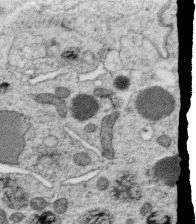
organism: C. elegans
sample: C. elegans oocyte; sperm cells